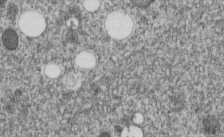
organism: C. elegans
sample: C. elegans embryo early stage